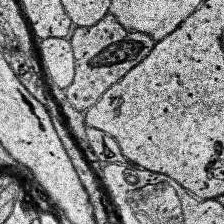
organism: Human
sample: Temporal Lobe